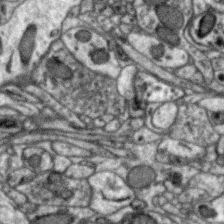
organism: Zebra finch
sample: Brain